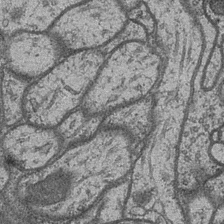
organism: Drosophila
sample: Optic medulla